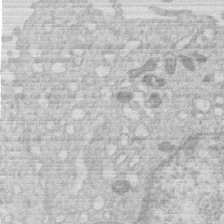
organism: Human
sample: Macrophage cells